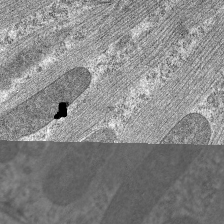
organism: C. elegans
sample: Pharynx